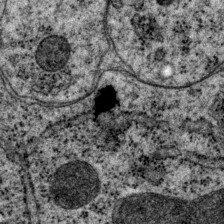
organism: P. pacificus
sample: Pharynx